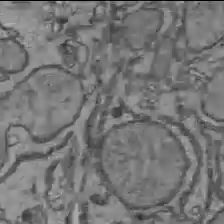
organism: C57BL Mouse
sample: Liver